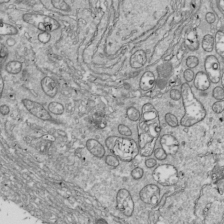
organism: Drosophila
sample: Cell division; meiosis; drosophila spermatocytes